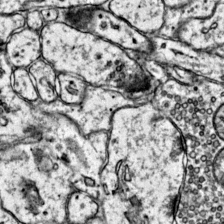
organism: Mouse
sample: Primary visual cortex